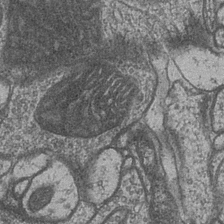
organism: Drosophila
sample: Optic medulla